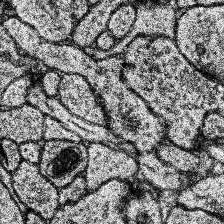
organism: Human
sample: Temporal Lobe